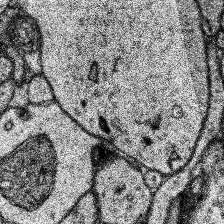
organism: Human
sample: Temporal Lobe